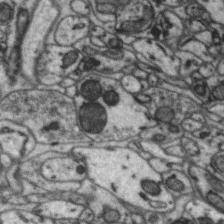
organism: Zebra finch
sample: Brain